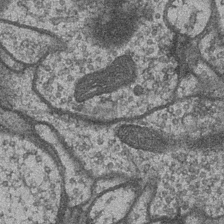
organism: Drosophila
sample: Optic medulla